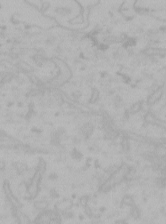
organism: Mouse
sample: Choroid plexus